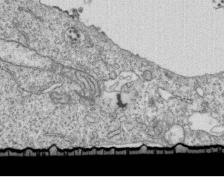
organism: Human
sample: HeLa cell HIV synapse